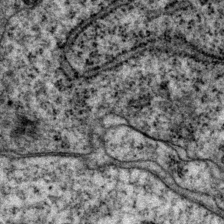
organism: P. pacificus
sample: Pharynx